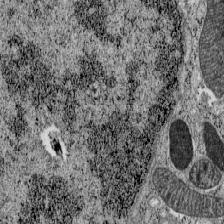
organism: C57BL Mouse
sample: Pancreatic islet